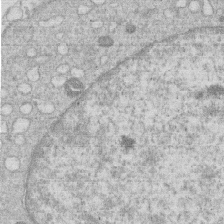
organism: Human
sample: Macrophage cells